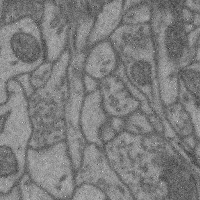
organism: Mouse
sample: Cerebral cortex